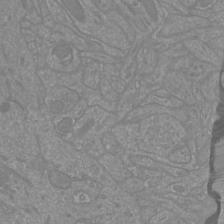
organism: Mouse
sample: Cortical neurons